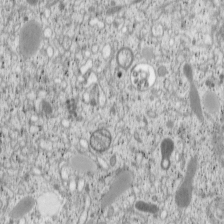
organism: African green monkey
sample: COS-7 cells